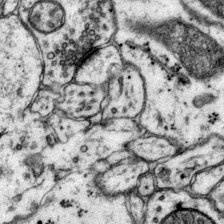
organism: Mouse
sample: Primary visual cortex